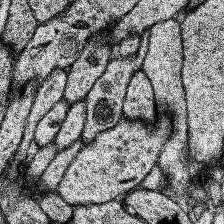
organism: Human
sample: Temporal Lobe